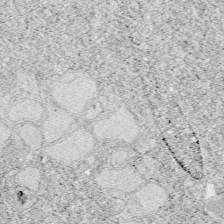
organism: Zebrafish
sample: Whole-Brain